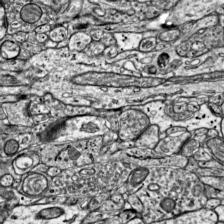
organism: Mouse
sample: Visual Cortex